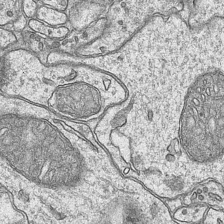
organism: Mouse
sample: CA1 Hippocampus